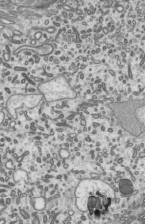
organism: Mouse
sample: Mouse epididymis efferent ductule cilia